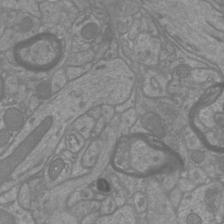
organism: Mouse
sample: Cortical neurons